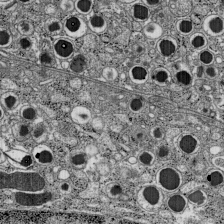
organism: C57BL Mouse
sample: Pancreatic islet